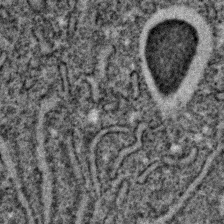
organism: C. elegans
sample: C. elegans embryo